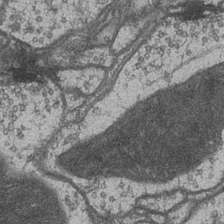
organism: Drosophila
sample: Optic medulla